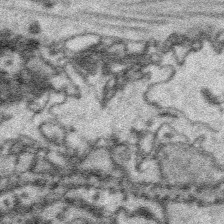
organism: Platynereis dumerilii